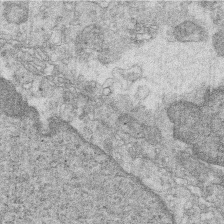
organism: Mouse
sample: Multiciliated cells